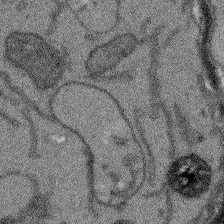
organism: Arabidopsis thaliana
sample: Root tip